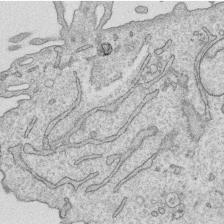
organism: Human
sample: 1205lu cells